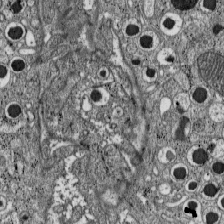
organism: C57BL Mouse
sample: Pancreatic islet